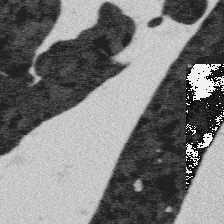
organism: Platynereis dumerilii